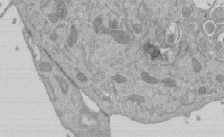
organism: Mouse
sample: ED-1 cell nuclei; centrioles